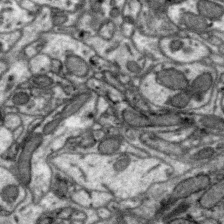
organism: Zebra finch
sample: Brain